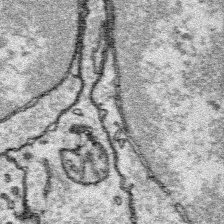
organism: Platynereis dumerilii